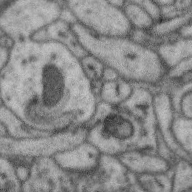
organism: Zebra finch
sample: Brain